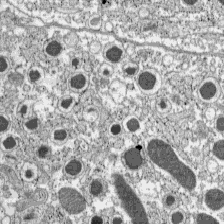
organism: C57BL Mouse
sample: Pancreatic islet